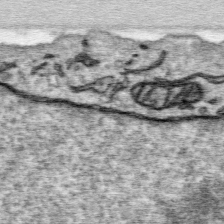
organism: Human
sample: HeLa cells